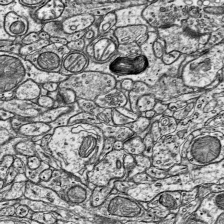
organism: Mouse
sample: Visual Cortex